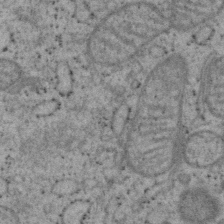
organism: Human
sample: HeLa cells